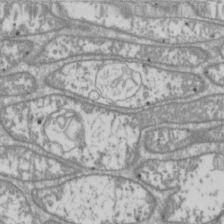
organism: Drosophila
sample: Cell division; meiosis; drosophila spermatocytes